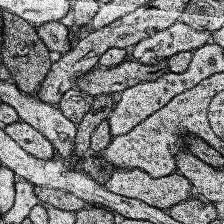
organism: Human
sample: Temporal Lobe